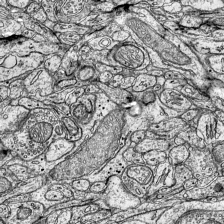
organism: Mouse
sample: Visual Cortex